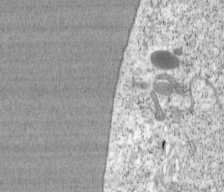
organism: African green monkey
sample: COS-7 cells